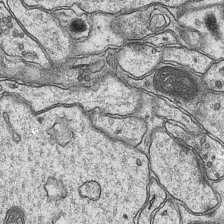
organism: Mouse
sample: CA1 Hippocampus